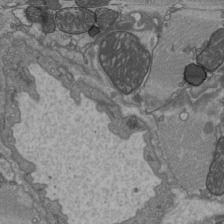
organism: C57BL Mouse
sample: Heart